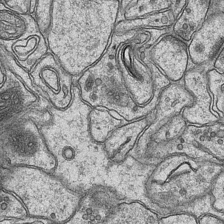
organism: Mouse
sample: CA1 Hippocampus